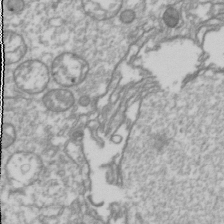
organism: Drosophila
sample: Cell division; meiosis; drosophila spermatocytes